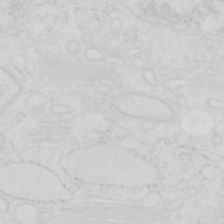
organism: Human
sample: SUM-159 cell